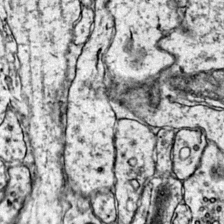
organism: Mouse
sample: Primary visual cortex